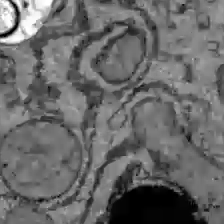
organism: C57BL Mouse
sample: Liver